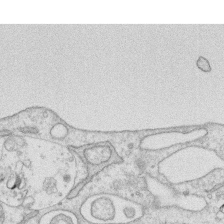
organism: Human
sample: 1205lu cells